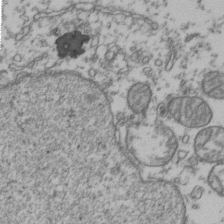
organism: Human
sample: Activated Jurkat CD4+ T cells